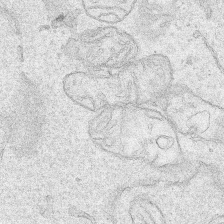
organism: Human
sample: Mitochondria in HCT116 cells